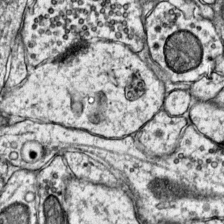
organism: Mouse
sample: Primary visual cortex